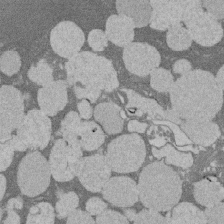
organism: Rat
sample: Salivary granule